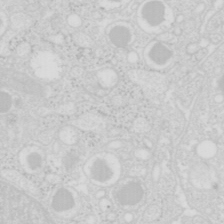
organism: Mouse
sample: Pancreas